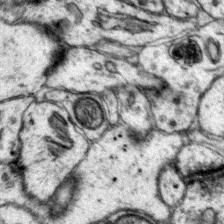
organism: Mouse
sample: Primary visual cortex